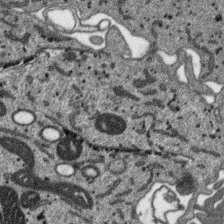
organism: Human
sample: Lung epithelial cells infected with SARS-CoV-2